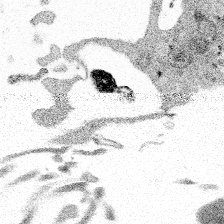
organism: Spongilla lacustris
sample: Multiple